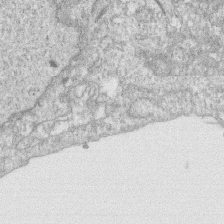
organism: Human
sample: HeLa cell HIV synapse